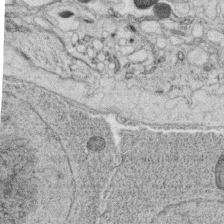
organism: C. elegans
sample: C. elegans oocyte; sperm cells